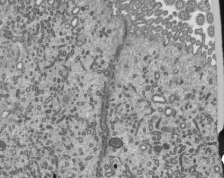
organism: Mouse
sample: Mouse epididymis efferent ductule cilia